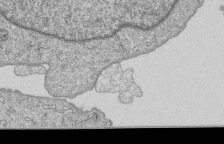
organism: Human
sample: MDA-MB-231 cells